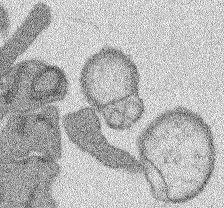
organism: Human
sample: HeLa cells